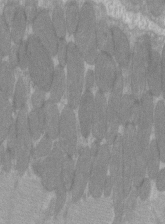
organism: C57BL Mouse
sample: Tibialis anterior muscle cell